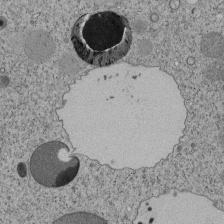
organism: Tetrahymena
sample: Cilia in tetrahymena